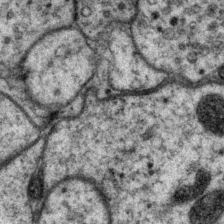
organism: P. pacificus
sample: Pharynx